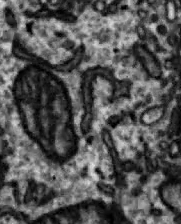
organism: Human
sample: HeLa cells